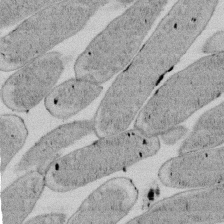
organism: E. coli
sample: Bacterial nucleoid